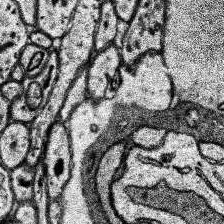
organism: Human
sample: Temporal Lobe